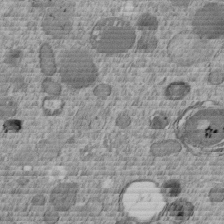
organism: C. elegans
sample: C. elegans embryo early stage